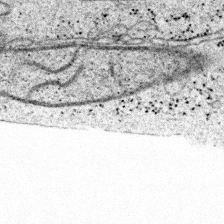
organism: Human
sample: HeLa cells